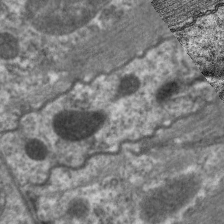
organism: C. elegans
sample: Pharynx